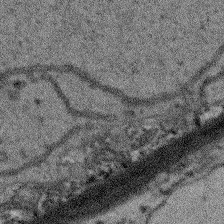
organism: Arabidopsis thaliana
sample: Root tip